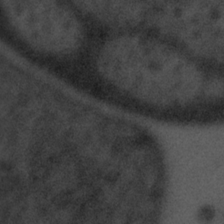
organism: Tuwongella immobilis